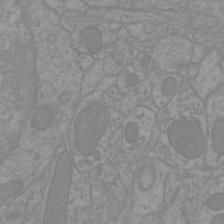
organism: Mouse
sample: Cortical neurons